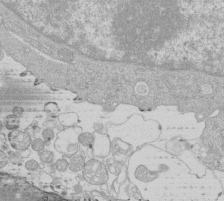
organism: Human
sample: Macrophage cells